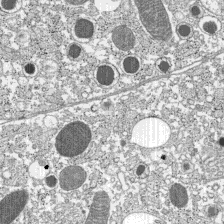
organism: C57BL Mouse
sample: Pancreatic islet